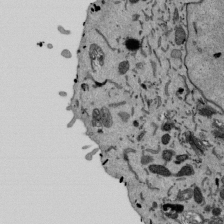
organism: Mouse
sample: ED-1 cell nuclei; centrioles